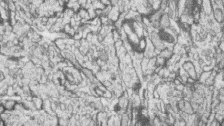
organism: Zebrafish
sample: synaptic ribbons in rod cells and cone cells